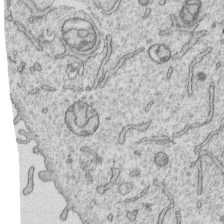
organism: Human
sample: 1205lu cells